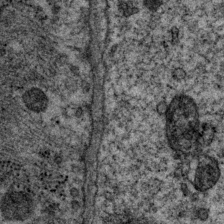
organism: P. pacificus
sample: Pharynx